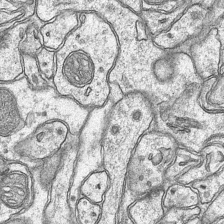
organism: Mouse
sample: CA1 Hippocampus